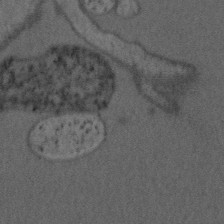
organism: Human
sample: HeLa cells